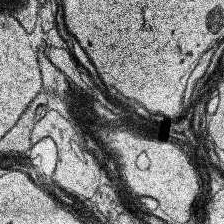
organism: Human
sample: Temporal Lobe